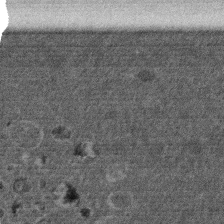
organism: Mouse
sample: Dividing mouse embryo 1 cell stage